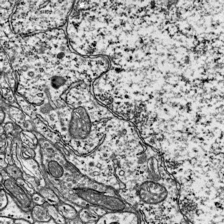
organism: Mouse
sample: Visual Cortex